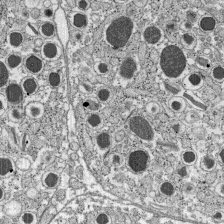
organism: C57BL Mouse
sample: Pancreatic islet